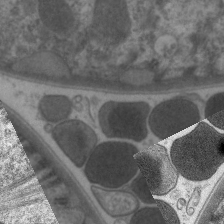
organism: C. elegans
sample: Pharynx